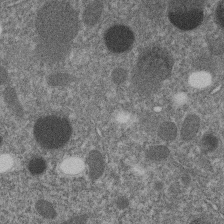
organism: C. elegans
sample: C. elegans embryo early stage